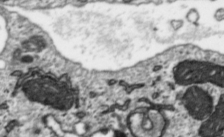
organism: Toxoplasma gondii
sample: Parasites in a vacuole inside a host cell